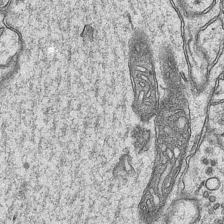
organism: Mouse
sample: CA1 Hippocampus